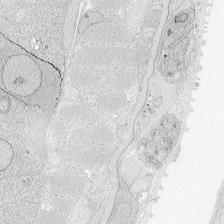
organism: Zebrafish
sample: Whole-Brain